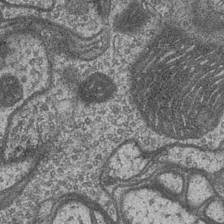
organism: Drosophila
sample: Optic medulla